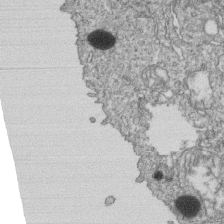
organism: Human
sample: HeLa cell HIV synapse